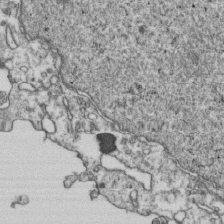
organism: Human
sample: Activated Jurkat CD4+ T cells